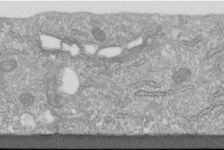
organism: Human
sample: Centriole in fibroblast cells